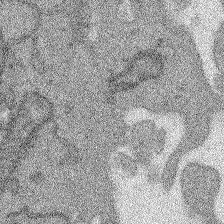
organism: Human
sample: HeLa cells